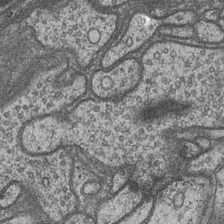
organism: Drosophila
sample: Optic medulla